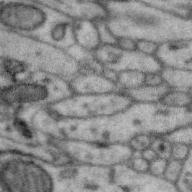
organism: Zebra finch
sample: Brain